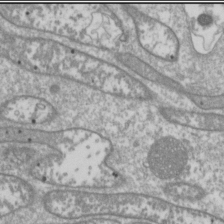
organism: Drosophila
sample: Cell division; meiosis; drosophila spermatocytes